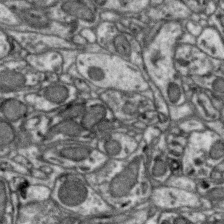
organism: Zebra finch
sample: Brain